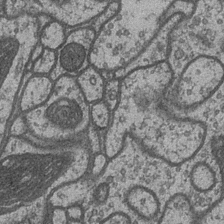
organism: Drosophila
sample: Optic medulla